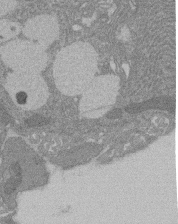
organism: Rat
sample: Salivary granule